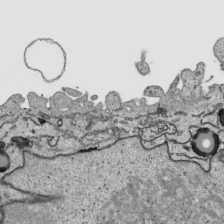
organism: Human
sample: Mitochondria in HCT116 cells